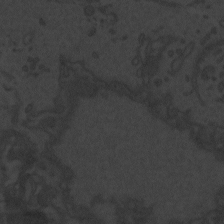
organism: Zebrafish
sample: Macrophage infected with Toxoplasma gondii